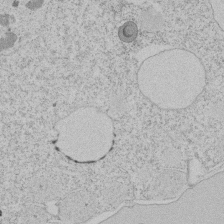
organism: Tetrahymena